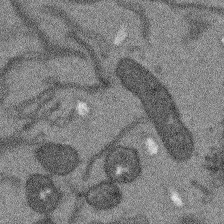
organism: Arabidopsis thaliana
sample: Root tip